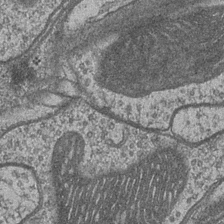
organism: Drosophila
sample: Optic medulla